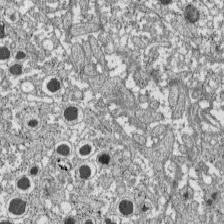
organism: C57BL Mouse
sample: Pancreatic islet